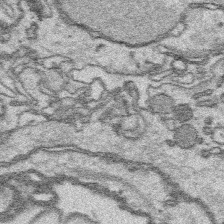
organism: Platynereis dumerilii